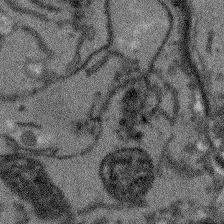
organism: Arabidopsis thaliana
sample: Root tip